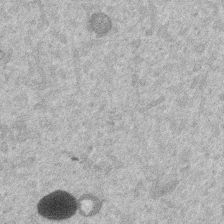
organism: Mouse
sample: Dividing mouse embryo 1 cell stage